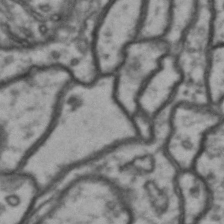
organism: Drosophila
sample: Brain